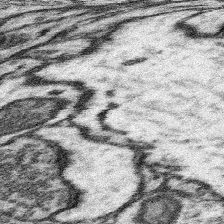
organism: Mouse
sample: Somatosensory cortex neuropil